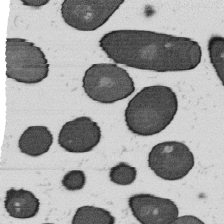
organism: B. subtilis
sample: Bacterial spore